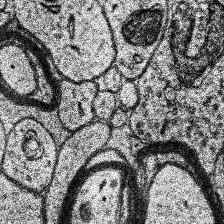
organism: Human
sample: Temporal Lobe